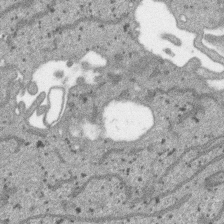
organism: Human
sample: Lung epithelial cells infected with SARS-CoV-2